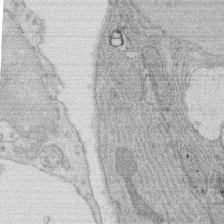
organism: Rat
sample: Salivary granule